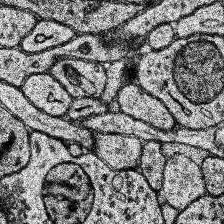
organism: Human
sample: Temporal Lobe